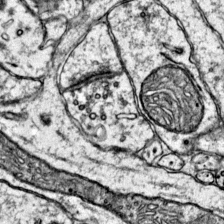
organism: Mouse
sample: Primary visual cortex